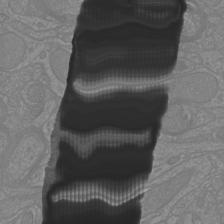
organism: Mouse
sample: Cortical neurons